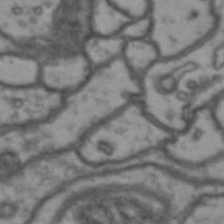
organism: Drosophila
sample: Brain